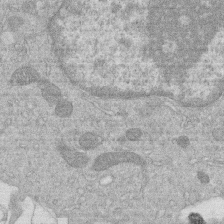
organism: Human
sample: Macrophage cells